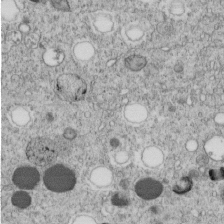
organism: C. elegans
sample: C. elegans embryo early stage